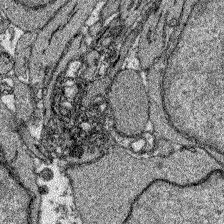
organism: Zebrafish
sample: Larval olfactory bulb